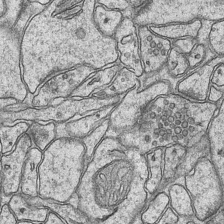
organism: Mouse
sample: CA1 Hippocampus